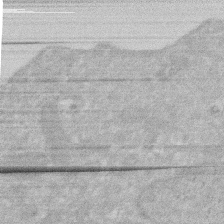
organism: Human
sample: HIV infected U937 cells